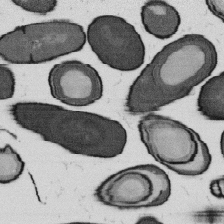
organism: B. subtilis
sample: Bacterial spore